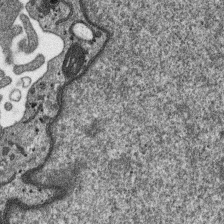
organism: Human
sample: Lung epithelial cells infected with SARS-CoV-2